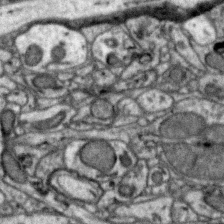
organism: Zebra finch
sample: Brain